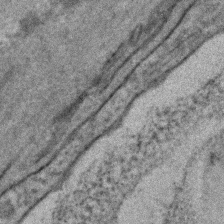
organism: C. elegans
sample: C. elegans embryo